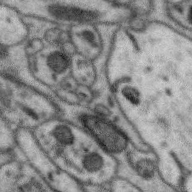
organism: Zebra finch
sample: Brain